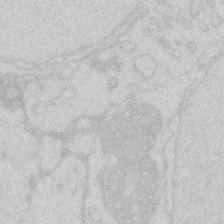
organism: Zebrafish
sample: Macrophage